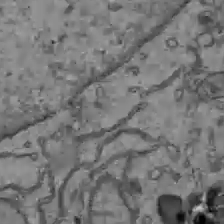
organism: C57BL Mouse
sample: Liver